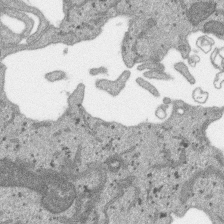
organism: Human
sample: Lung epithelial cells infected with SARS-CoV-2